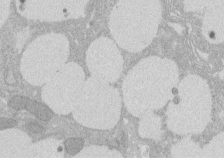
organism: Rat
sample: Salivary granule